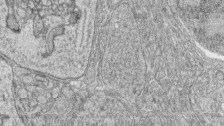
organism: Zebrafish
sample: synaptic ribbons in rod cells and cone cells